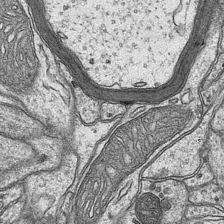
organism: Mouse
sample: CA1 Hippocampus